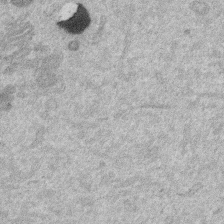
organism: Mouse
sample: Dividing mouse embryo 1 cell stage